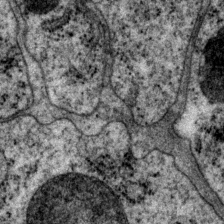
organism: P. pacificus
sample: Pharynx